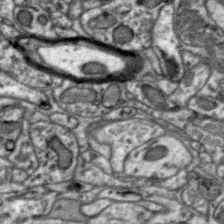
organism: Zebra finch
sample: Brain